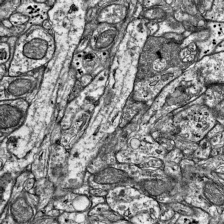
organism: Mouse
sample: Visual Cortex